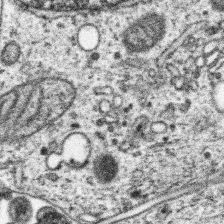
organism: Human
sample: HeLa cells